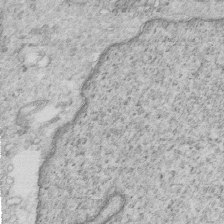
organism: Mouse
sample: Multiciliated cells